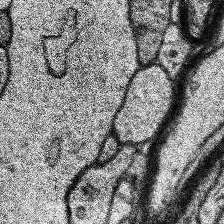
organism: Human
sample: Temporal Lobe